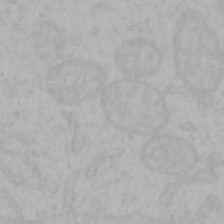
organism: Mouse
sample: Choroid plexus